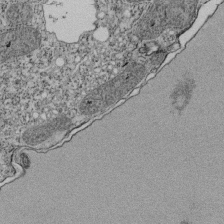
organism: Tetrahymena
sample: Cilia in tetrahymena